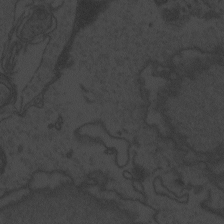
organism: Zebrafish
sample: Macrophage infected with Toxoplasma gondii